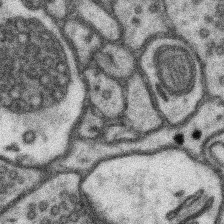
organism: Mouse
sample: Somatosensory cortex neuropil